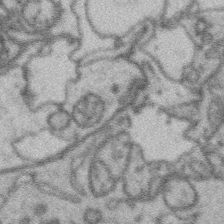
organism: Platynereis dumerilii